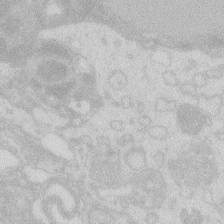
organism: Zebrafish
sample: Macrophage